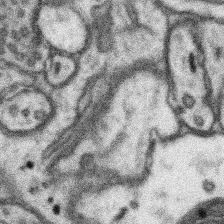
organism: Mouse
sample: Somatosensory cortex neuropil